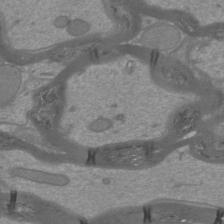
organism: Mouse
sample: Cortical neurons